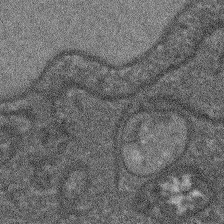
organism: Arabidopsis thaliana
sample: Root tip